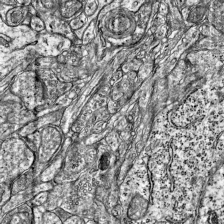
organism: Mouse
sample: Visual Cortex